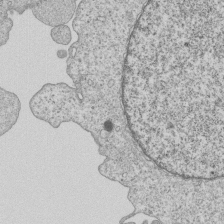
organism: Human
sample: MDA-MB-231 cells